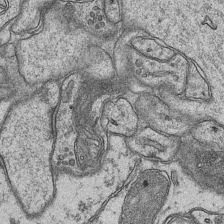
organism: Mouse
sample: CA1 Hippocampus